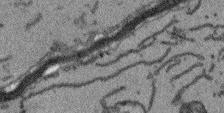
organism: Arabidopsis thaliana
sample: Root tip